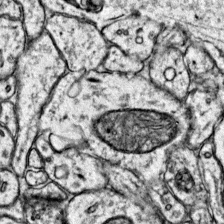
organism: Mouse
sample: Primary visual cortex